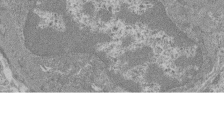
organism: Mouse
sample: Glomerulus